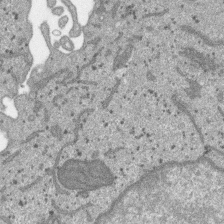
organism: Human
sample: Lung epithelial cells infected with SARS-CoV-2